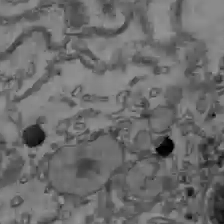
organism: C57BL Mouse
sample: Liver